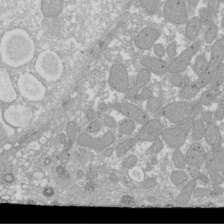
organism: Xenopus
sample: Cilia; centrioles in frog embryo cells